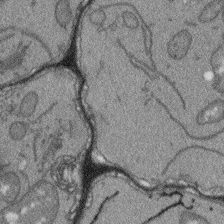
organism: Arabidopsis thaliana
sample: Root tip